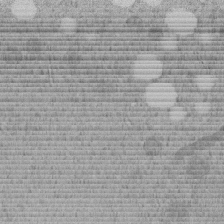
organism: C. elegans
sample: C. elegans embryo early stage